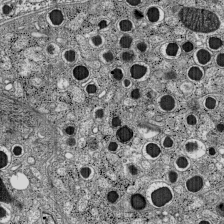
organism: C57BL Mouse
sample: Pancreatic islet